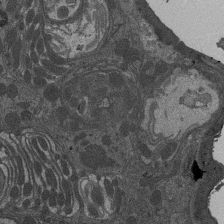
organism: Drosophila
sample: Antenna